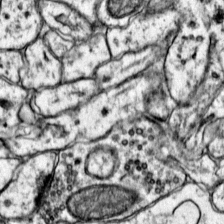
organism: Mouse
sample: Primary visual cortex